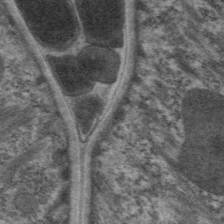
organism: C. elegans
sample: Pharynx